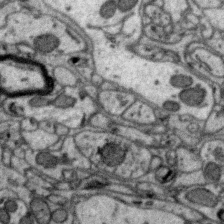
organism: Zebra finch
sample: Brain